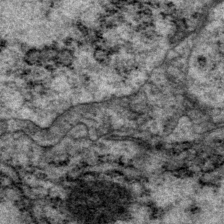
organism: P. pacificus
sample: Pharynx